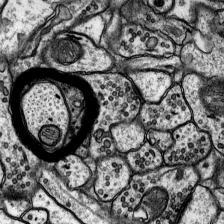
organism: Rat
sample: Hippocampus